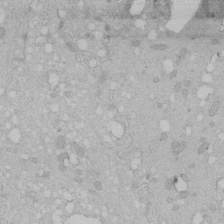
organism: Human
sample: Melanocyte Keratinocyte synapse skin construct